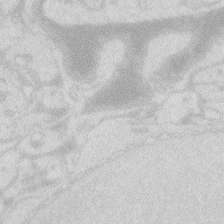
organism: Zebrafish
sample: Macrophage